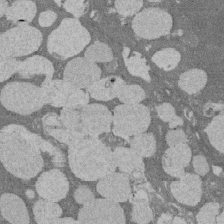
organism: Rat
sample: Salivary granule